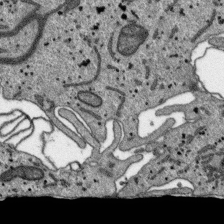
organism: Human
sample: Lung epithelial cells, uninfected (mock) control